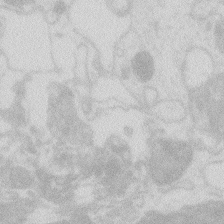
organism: Zebrafish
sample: Macrophage